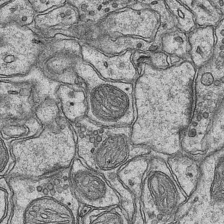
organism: Mouse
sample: CA1 Hippocampus